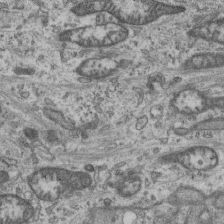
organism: Mouse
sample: Centriole in ependymal cells